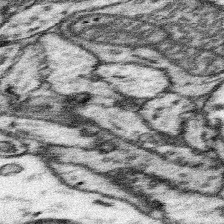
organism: Mouse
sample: Somatosensory cortex neuropil